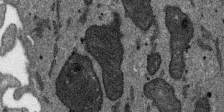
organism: Human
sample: Lung epithelial cells infected with SARS-CoV-2